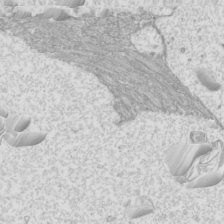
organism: Mouse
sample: Cilia; mouse epididymis